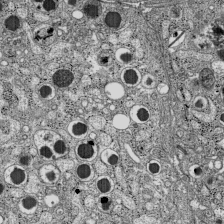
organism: C57BL Mouse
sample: Pancreatic islet